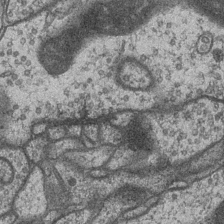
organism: Drosophila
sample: Optic medulla